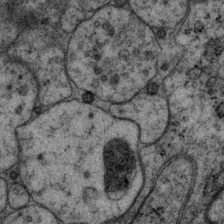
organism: P. pacificus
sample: Pharynx